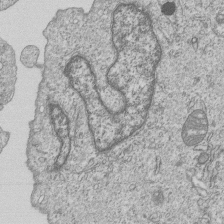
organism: Human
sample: MDA-MB-231 cells